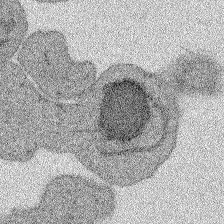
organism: Human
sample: HeLa cells